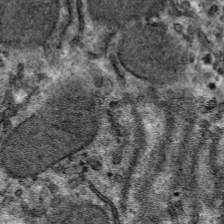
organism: Mouse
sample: Mouse hepatocytes